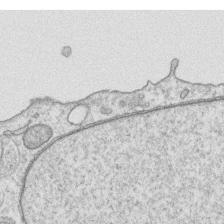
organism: Human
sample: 1205lu cells